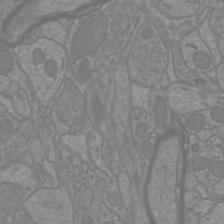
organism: Mouse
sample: Cortical neurons